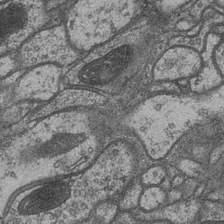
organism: Drosophila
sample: Optic medulla